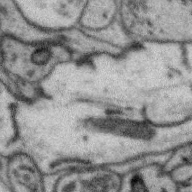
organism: Zebra finch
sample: Brain